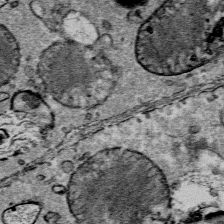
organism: Mouse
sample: Mouse Salivary gland